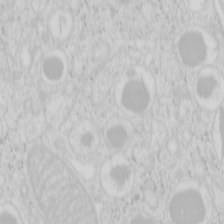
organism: Mouse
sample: Pancreas